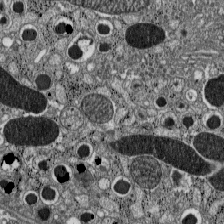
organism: C57BL Mouse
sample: Pancreatic islet